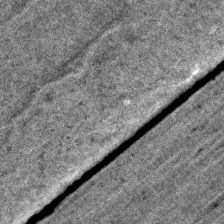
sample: Trachea